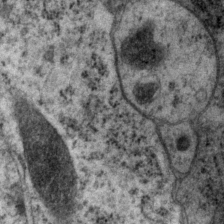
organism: P. pacificus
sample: Pharynx